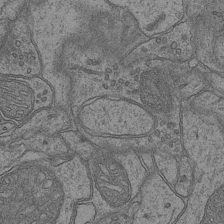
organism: Mouse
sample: CA1 Hippocampus